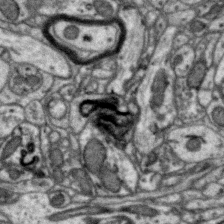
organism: Zebra finch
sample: Brain